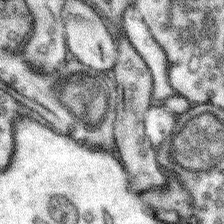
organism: Mouse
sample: Somatosensory cortex neuropil